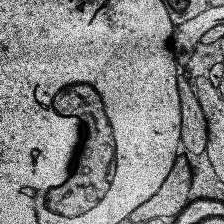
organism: Human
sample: Temporal Lobe